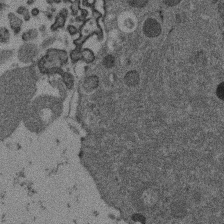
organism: Mouse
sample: Dividing mouse embryo 1 cell stage